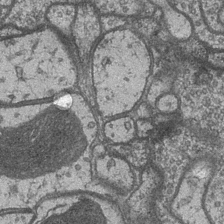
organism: Drosophila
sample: Optic medulla